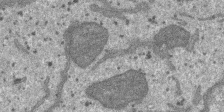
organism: Human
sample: Lung epithelial cells infected with SARS-CoV-2